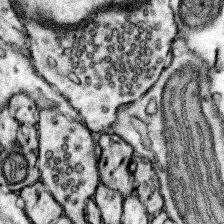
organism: Mouse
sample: Somatosensory cortex neuropil